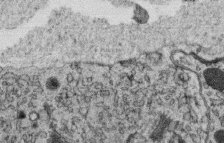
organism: C. elegans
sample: C. elegans oocyte; sperm cells